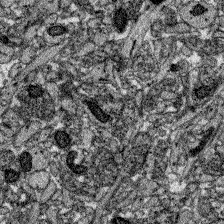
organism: Zebrafish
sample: Larval olfactory bulb